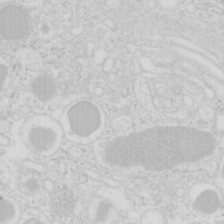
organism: Mouse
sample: Pancreas